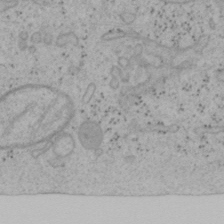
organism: Human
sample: HeLa cells